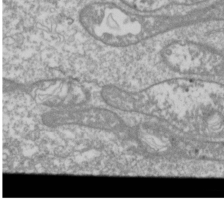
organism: Drosophila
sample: Cell division; meiosis; drosophila spermatocytes